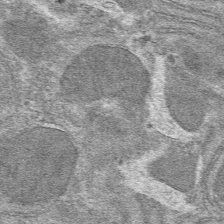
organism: Mouse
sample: Mouse hepatocytes